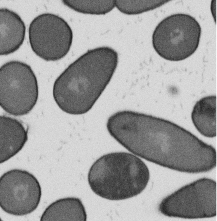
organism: B. subtilis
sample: Bacterial spore